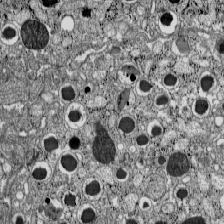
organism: C57BL Mouse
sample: Pancreatic islet